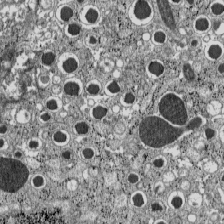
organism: C57BL Mouse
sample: Pancreatic islet